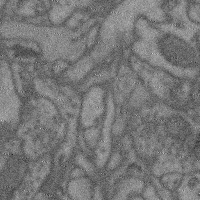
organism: Mouse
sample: Cerebral cortex